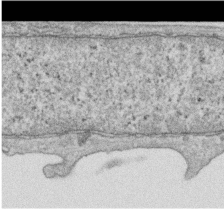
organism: Human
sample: Centriole in RPE cells